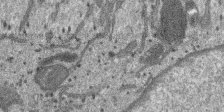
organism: Human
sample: Lung epithelial cells infected with SARS-CoV-2